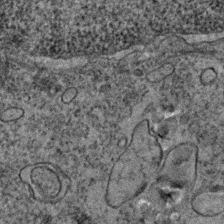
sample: Trachea